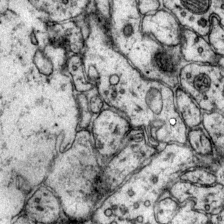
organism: Mouse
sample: Primary visual cortex